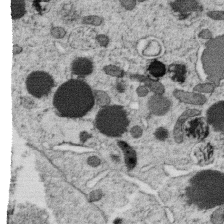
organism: C. elegans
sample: C. elegans oocyte; sperm cells